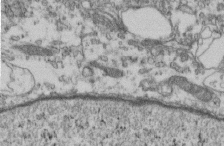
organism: Mouse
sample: Cilia; retinal pigment epithelium